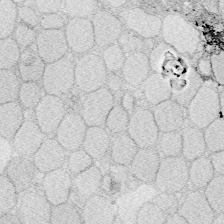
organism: Zebrafish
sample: Whole-Brain